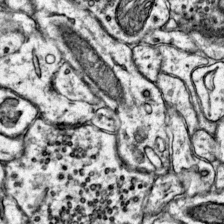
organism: Mouse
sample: Primary visual cortex